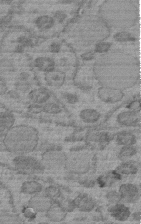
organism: C. elegans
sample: C. elegans embryo early stage